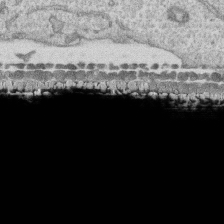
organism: Human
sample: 1205lu cells